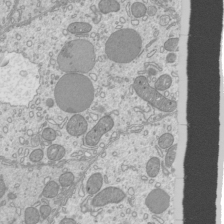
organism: Mouse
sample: Cilia; mouse epididymis